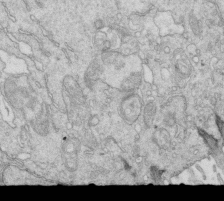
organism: Mouse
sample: Multiciliated cells